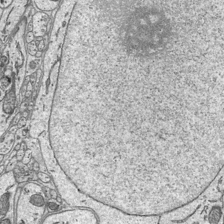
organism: Mouse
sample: Suprachiasmatic nucleus